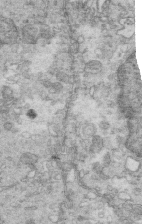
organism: Mouse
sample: Multiciliated cells